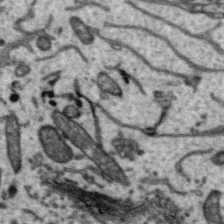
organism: Zebra finch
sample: Brain